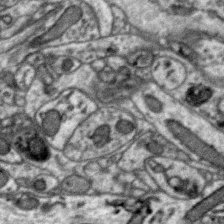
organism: Zebra finch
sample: Brain